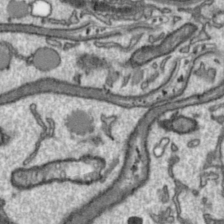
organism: Toxoplasma gondii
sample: Parasites in a vacuole inside a host cell